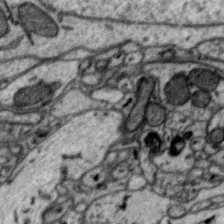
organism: Zebra finch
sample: Brain